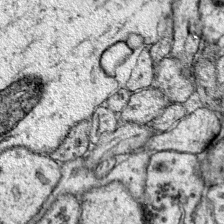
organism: Mouse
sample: Primary visual cortex